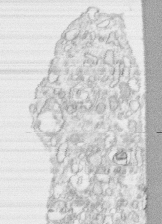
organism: Human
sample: CRL-1474